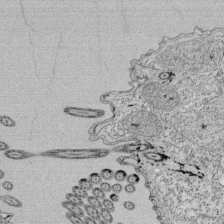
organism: Tetrahymena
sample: Cilia in tetrahymena